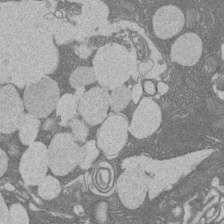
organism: Rat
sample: Salivary granule